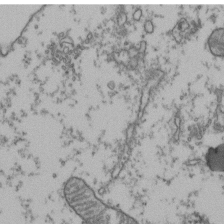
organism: Human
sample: Activated Jurkat CD4+ T cells